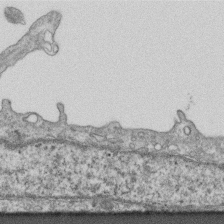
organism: Mouse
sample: Centriole in ependymal cells